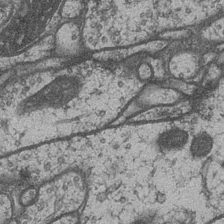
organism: Drosophila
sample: Optic medulla